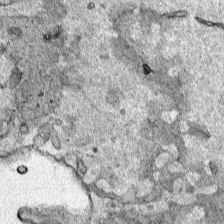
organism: Human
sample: Mitochondria in HCT116 cells